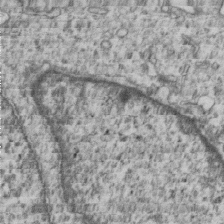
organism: Human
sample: MDA-MB-231 cells